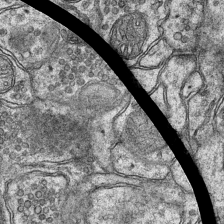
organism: Mouse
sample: CA1 Hippocampus